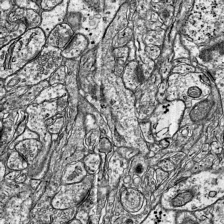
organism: Mouse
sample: Visual Cortex